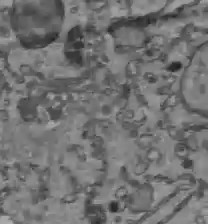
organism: C57BL Mouse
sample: Liver